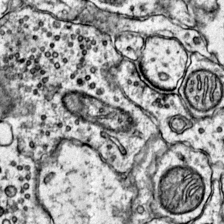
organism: Mouse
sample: Primary visual cortex